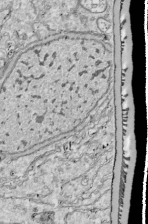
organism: Drosophila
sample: Cell division; meiosis; drosophila spermatocytes